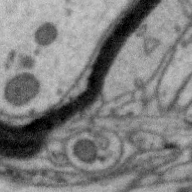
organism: Zebra finch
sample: Brain